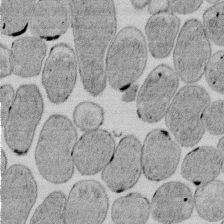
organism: E. coli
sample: Bacterial nucleoid